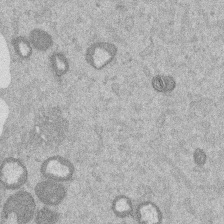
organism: Mouse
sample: Dividing mouse embryo 1 cell stage